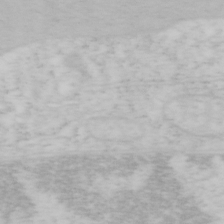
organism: Mouse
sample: OT-I killer T cells with ID8 ovarian cancer cells